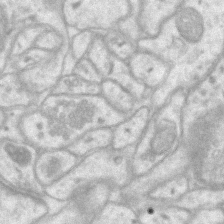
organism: Mouse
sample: CA1 Hippocampus